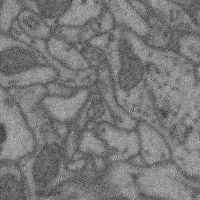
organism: Mouse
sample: Cerebral cortex